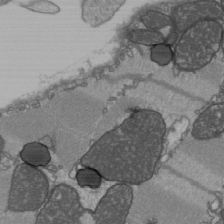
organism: C57BL Mouse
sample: Heart